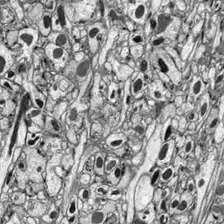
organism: Drosophila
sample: Optic lobe